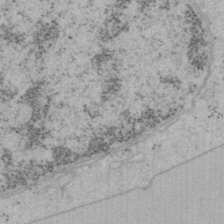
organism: Human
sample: HeLa cells